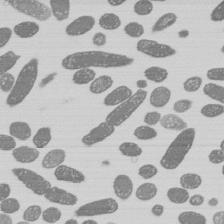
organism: E. coli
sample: Bacterial nucleoid